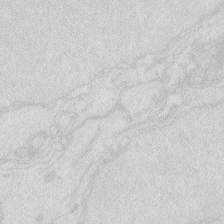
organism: Zebrafish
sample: Macrophage